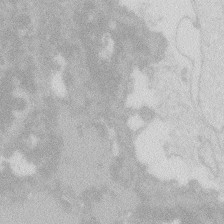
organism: Zebrafish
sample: Macrophage